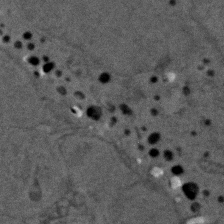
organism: Zebrafish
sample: Zebrafish embryo